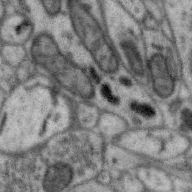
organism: Zebra finch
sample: Brain